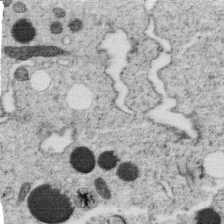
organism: C. elegans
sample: C. elegans oocyte; sperm cells